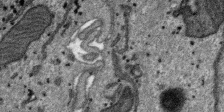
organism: Human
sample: Lung epithelial cells, uninfected (mock) control